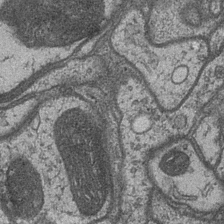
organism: Drosophila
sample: Optic medulla